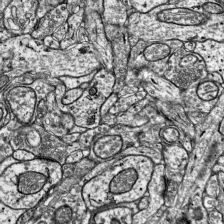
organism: Mouse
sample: Visual Cortex